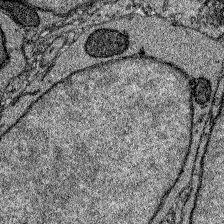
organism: Zebrafish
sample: Larval olfactory bulb